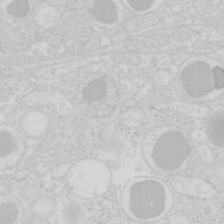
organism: Mouse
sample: Pancreas